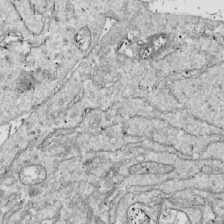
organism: Drosophila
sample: Cell division; meiosis; drosophila spermatocytes